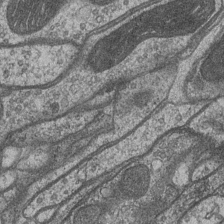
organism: Drosophila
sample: Optic medulla